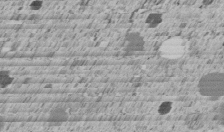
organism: C. elegans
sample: C. elegans embryo early stage